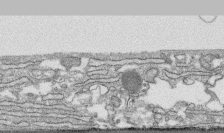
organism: Human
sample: CRL-1474